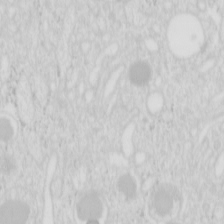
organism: Mouse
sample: Pancreas